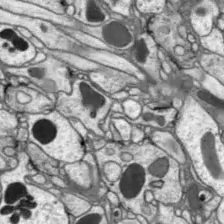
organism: Drosophila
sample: Optic lobe